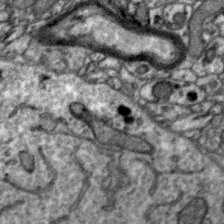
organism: Zebra finch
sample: Brain